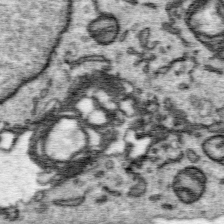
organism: Human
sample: HeLa cells